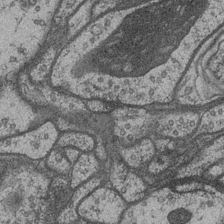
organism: Drosophila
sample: Optic medulla